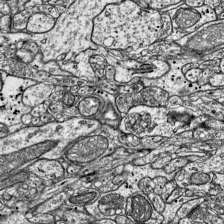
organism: Mouse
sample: Visual Cortex